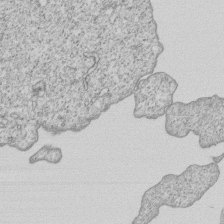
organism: Human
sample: MDA-MB-231 cells